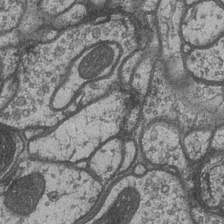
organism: Drosophila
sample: Optic medulla